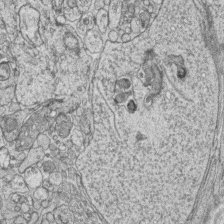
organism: Zebrafish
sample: synaptic ribbons in rod cells and cone cells